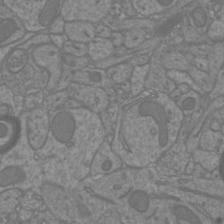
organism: Mouse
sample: Cortical neurons